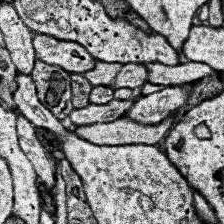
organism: Human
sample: Temporal Lobe